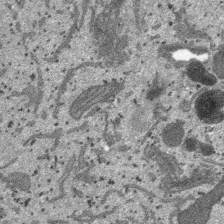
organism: Human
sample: Lung epithelial cells infected with SARS-CoV-2